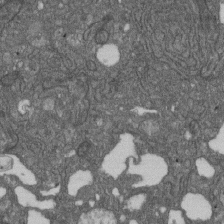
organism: Drosophila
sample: Nephrocyte